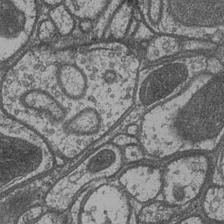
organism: Drosophila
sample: Optic medulla